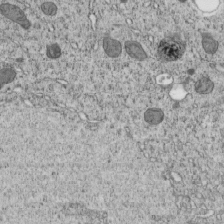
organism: C. elegans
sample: C. elegans embryo early stage